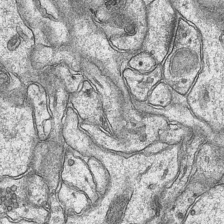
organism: Mouse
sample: CA1 Hippocampus